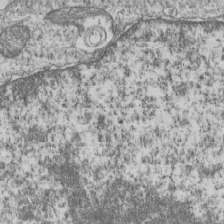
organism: Human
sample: MDA-MB-231 cells